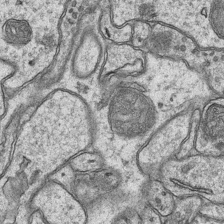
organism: Mouse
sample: CA1 Hippocampus